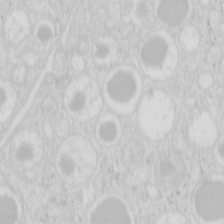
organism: Mouse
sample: Pancreas